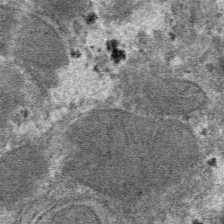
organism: Mouse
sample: Mouse hepatocytes